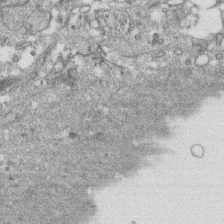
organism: Human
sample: CRL-1474